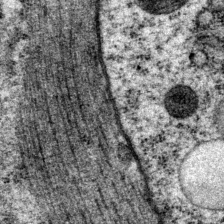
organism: P. pacificus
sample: Pharynx